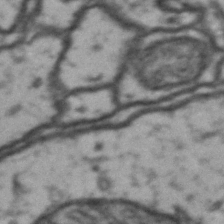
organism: Drosophila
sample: Brain